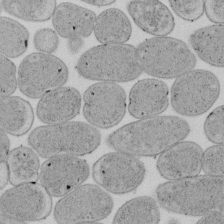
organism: E. coli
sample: Bacterial nucleoid